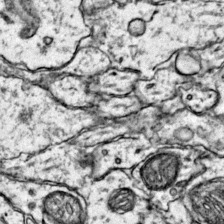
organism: Mouse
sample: Primary visual cortex